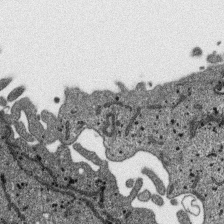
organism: Human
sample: Lung epithelial cells infected with SARS-CoV-2